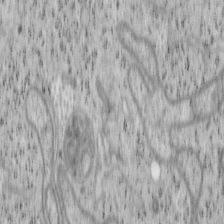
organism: Human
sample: HeLa cells